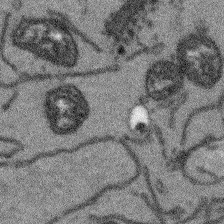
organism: Arabidopsis thaliana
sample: Root tip